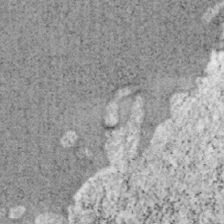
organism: Mouse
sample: OT-I killer T cells with ID8 ovarian cancer cells